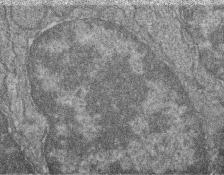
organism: Zebrafish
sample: Cilia; retinal pigment epithelium